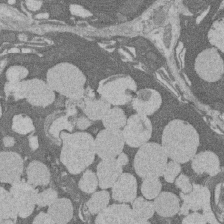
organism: Rat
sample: Salivary granule